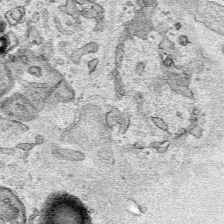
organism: Human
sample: Mitochondria in HCT116 cells